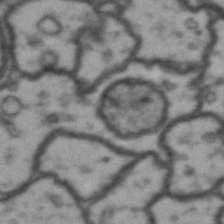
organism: Drosophila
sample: Brain